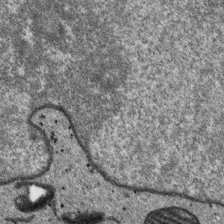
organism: Human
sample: Lung epithelial cells, uninfected (mock) control